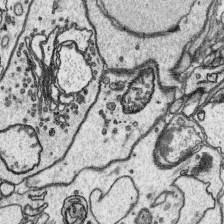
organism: Platynereis dumerilii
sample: Parapodia